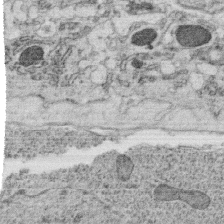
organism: C. elegans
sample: C. elegans oocyte; sperm cells